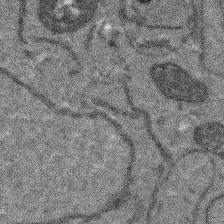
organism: Arabidopsis thaliana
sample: Root tip